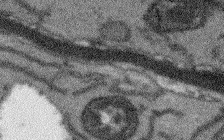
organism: Arabidopsis thaliana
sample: Root tip